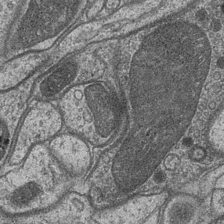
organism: Drosophila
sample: Optic medulla